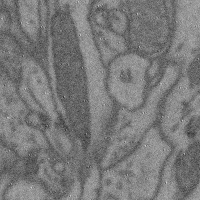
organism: Mouse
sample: Cerebral cortex